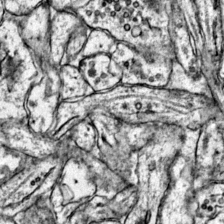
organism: Mouse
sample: Primary visual cortex